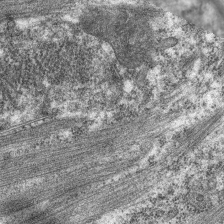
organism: C. elegans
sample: Pharynx